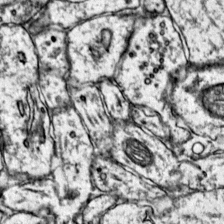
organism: Mouse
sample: Primary visual cortex